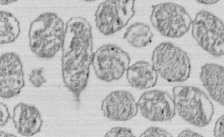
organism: E. coli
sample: Bacterial nucleoid